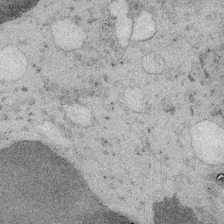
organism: Embia sp.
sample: Silk gland